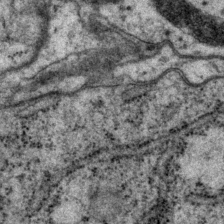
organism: P. pacificus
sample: Pharynx